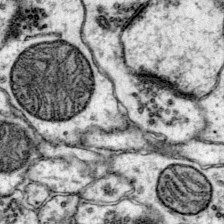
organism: Mouse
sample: Primary visual cortex